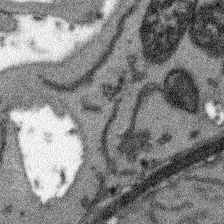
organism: Arabidopsis thaliana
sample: Root tip